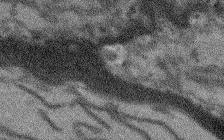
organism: Arabidopsis thaliana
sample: Root tip